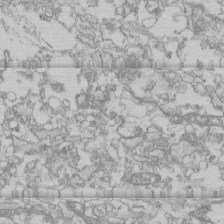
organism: Human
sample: CRL-1474